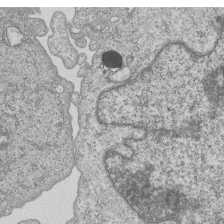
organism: Human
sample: MDA-MB-231 cells